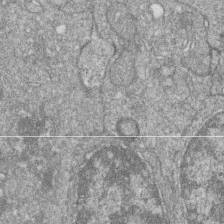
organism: Zebrafish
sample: Cilia; retinal pigment epithelium